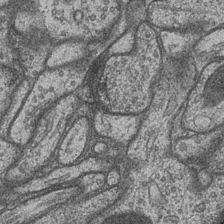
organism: Drosophila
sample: Optic medulla